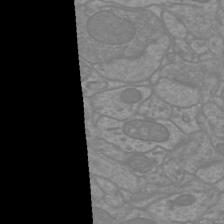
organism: Mouse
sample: Cortical neurons